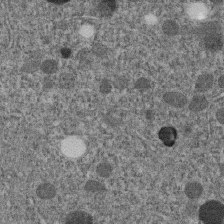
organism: C. elegans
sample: C. elegans embryo early stage